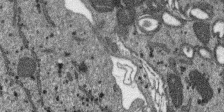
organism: Human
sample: Lung epithelial cells infected with SARS-CoV-2